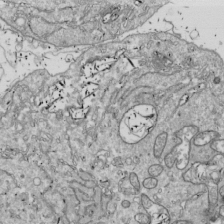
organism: Drosophila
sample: Cell division; meiosis; drosophila spermatocytes